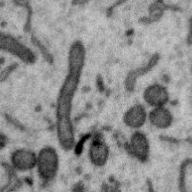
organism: Zebra finch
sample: Brain